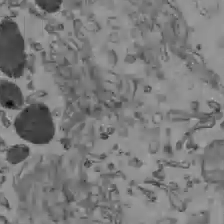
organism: C57BL Mouse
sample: Liver